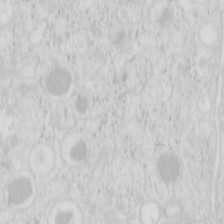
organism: Mouse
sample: Pancreas